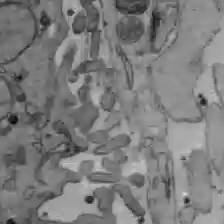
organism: C57BL Mouse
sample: Liver